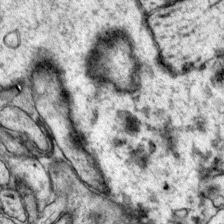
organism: Mouse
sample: Primary visual cortex